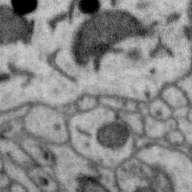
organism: Zebra finch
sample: Brain